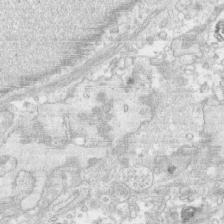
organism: Human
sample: CRL-1474